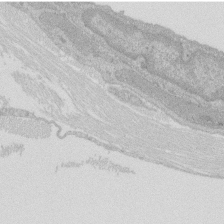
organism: Rat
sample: Salivary granule